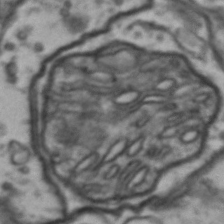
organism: Drosophila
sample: Brain